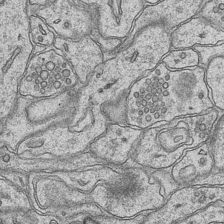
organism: Mouse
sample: CA1 Hippocampus